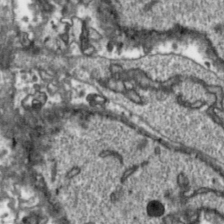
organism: Toxoplasma gondii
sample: Parasites in a vacuole inside a host cell